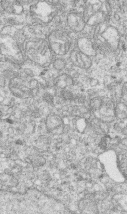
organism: Human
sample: HeLa cell HIV synapse